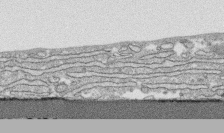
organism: Human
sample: CRL-1474